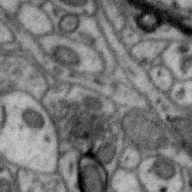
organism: Zebra finch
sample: Brain